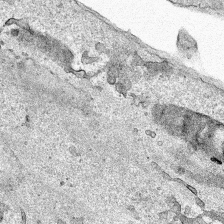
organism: Human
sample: Mitochondria in HCT116 cells